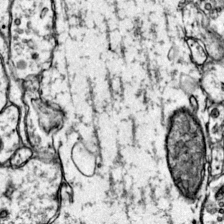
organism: Mouse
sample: Primary visual cortex